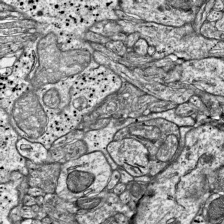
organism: Mouse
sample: Visual Cortex